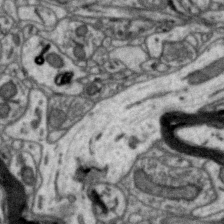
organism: Zebra finch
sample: Brain